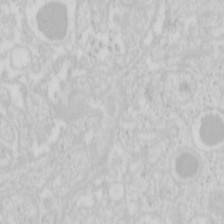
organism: Mouse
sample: Pancreas